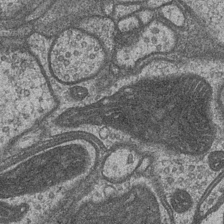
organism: Drosophila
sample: Optic medulla